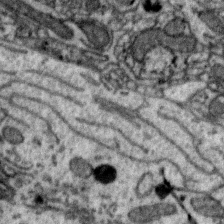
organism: Zebra finch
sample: Brain